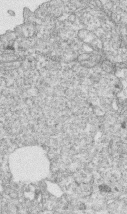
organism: Human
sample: HeLa cell HIV synapse